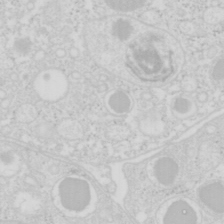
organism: Mouse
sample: Pancreas